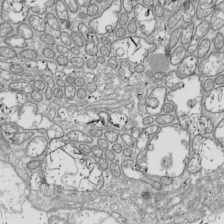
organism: Drosophila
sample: Cell division; meiosis; drosophila spermatocytes